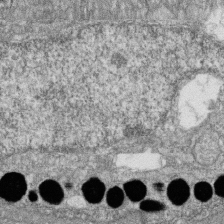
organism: Zebrafish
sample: Cilia; retinal pigment epithelium